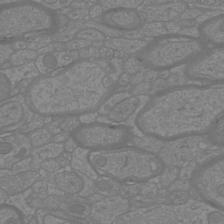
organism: Mouse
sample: Cortical neurons